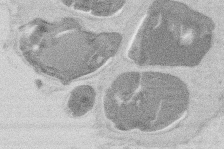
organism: Mouse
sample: T cell stromal cell synapse